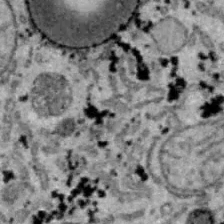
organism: Mouse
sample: Liver from an obese (ob/ob) mouse